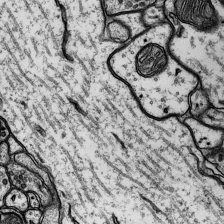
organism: Rat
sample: Hippocampus